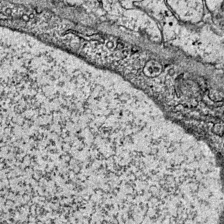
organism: Mouse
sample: Primary visual cortex